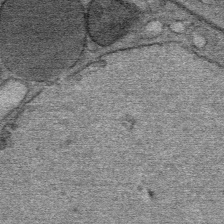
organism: Mouse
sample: Mouse Salivary gland